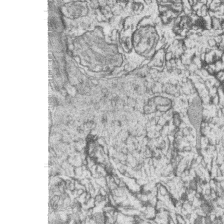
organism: Zebrafish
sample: synaptic ribbons in rod cells and cone cells